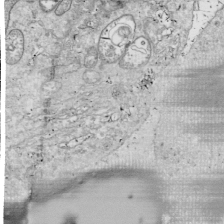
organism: Drosophila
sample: Cell division; meiosis; drosophila spermatocytes